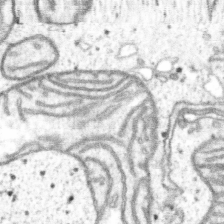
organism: Human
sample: HeLa cells